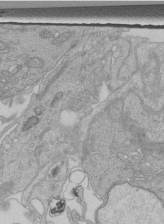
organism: Human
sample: Retinal organoid Rod and Cone cells